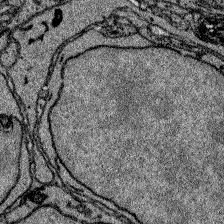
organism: Zebrafish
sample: Larval olfactory bulb